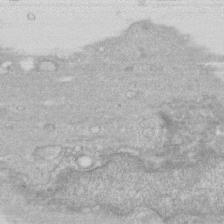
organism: Human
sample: Fibroblast cells